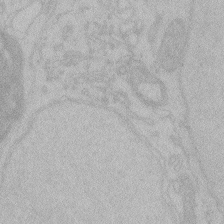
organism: Zebrafish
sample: Macrophage infected with Toxoplasma gondii